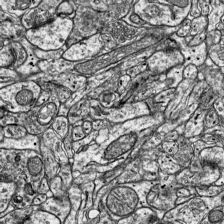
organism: Mouse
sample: Visual Cortex